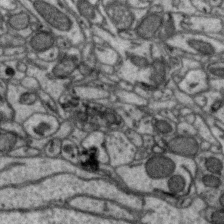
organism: Zebra finch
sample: Brain